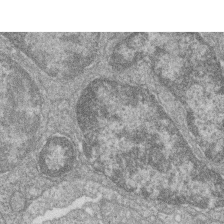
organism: Zebrafish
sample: Cilia; retinal pigment epithelium